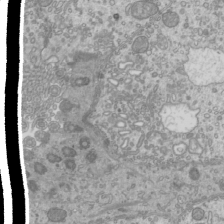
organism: Mouse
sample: Cilia; mouse epididymis